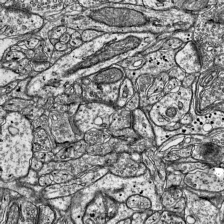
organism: Mouse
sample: Visual Cortex